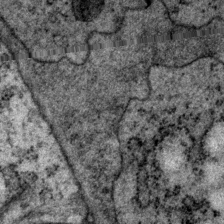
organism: P. pacificus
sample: Pharynx